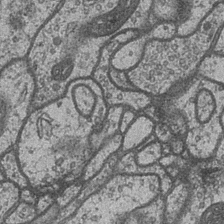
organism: Drosophila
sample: Optic medulla